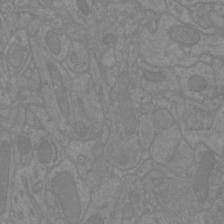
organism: Mouse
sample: Cortical neurons